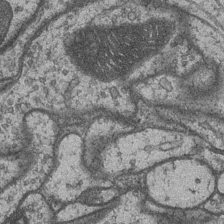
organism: Drosophila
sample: Optic medulla